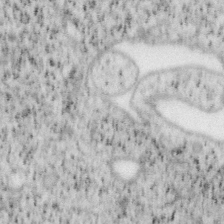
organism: Mouse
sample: OT-I killer T cells with ID8 ovarian cancer cells